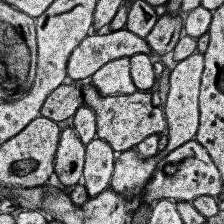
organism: Human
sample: Temporal Lobe